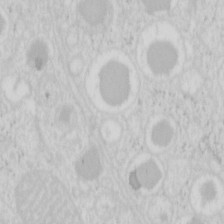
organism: Mouse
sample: Pancreas